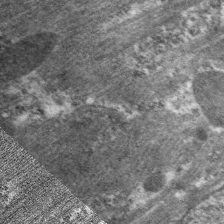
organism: C. elegans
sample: Pharynx